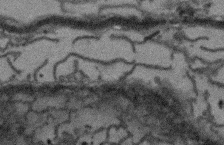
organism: Arabidopsis thaliana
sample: Root tip